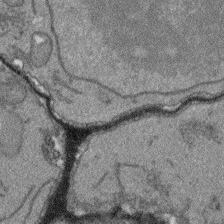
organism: Arabidopsis thaliana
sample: Root tip